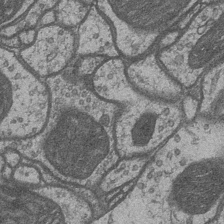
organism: Drosophila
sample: Optic medulla